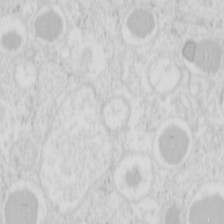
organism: Mouse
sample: Pancreas